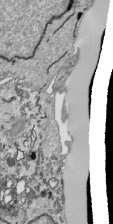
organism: Human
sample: Mitochondria in HCT116 cells